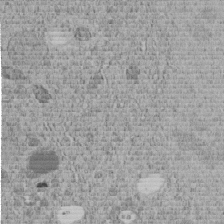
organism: C. elegans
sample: C. elegans embryo early stage